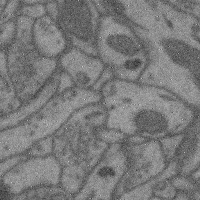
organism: Mouse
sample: Cerebral cortex